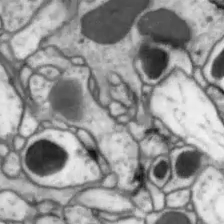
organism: Drosophila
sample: Optic lobe